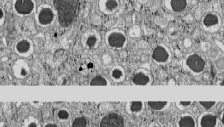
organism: C57BL Mouse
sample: Pancreatic islet